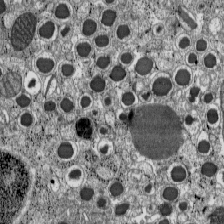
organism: C57BL Mouse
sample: Pancreatic islet